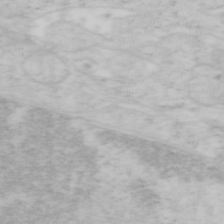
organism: Mouse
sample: OT-I killer T cells with ID8 ovarian cancer cells